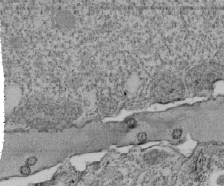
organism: Tetrahymena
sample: Cilia in tetrahymena